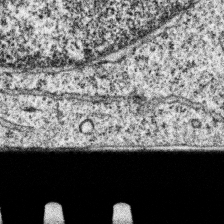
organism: Human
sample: HeLa cells